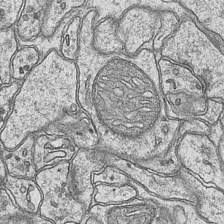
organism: Mouse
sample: CA1 Hippocampus